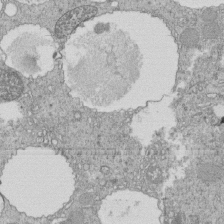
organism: Tetrahymena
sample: Cilia in tetrahymena